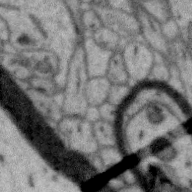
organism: Zebra finch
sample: Brain